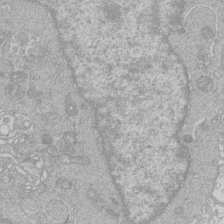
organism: Human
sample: Macrophage cells